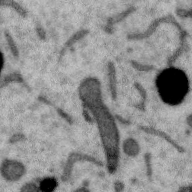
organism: Zebra finch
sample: Brain